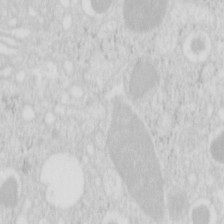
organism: Mouse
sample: Pancreas